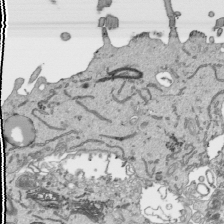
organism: Human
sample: Mitochondria in HCT116 cells